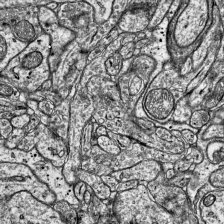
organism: Mouse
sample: Visual Cortex